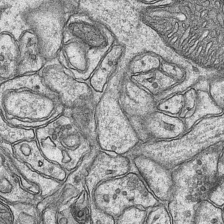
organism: Mouse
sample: CA1 Hippocampus